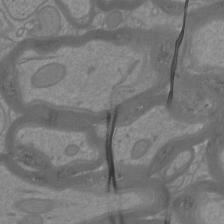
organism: Mouse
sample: Cortical neurons